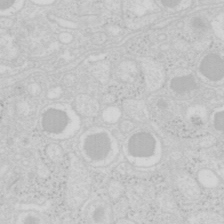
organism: Mouse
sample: Pancreas